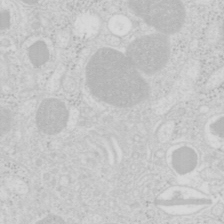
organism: Mouse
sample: Pancreas